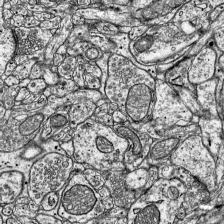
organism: Mouse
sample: Visual Cortex